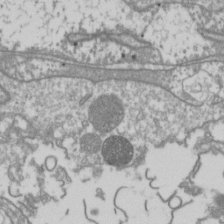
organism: Drosophila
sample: Cell division; meiosis; drosophila spermatocytes